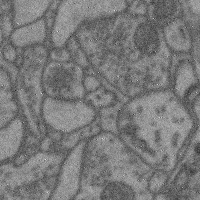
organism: Mouse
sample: Cerebral cortex